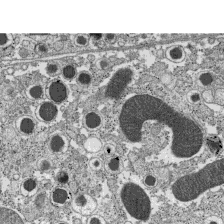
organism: C57BL Mouse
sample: Pancreatic islet